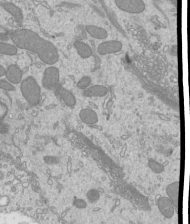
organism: Mouse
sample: Cilia; mouse epididymis